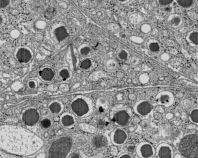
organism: C57BL Mouse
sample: Pancreatic islet